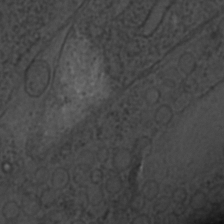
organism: C. elegans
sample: C. elegans embryo